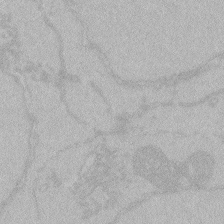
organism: Zebrafish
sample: Macrophage infected with Toxoplasma gondii